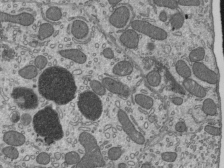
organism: Mouse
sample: Mouse epididymis efferent ductule cilia